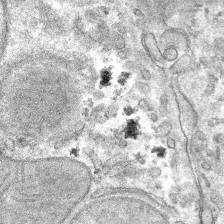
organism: Mouse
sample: Mouse hepatocytes